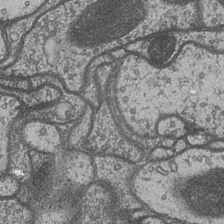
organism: Drosophila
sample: Optic medulla